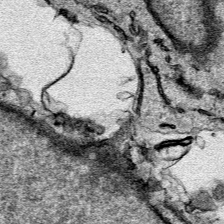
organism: Human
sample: Mitochondria in HCT116 cells